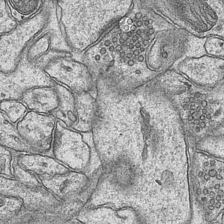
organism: Mouse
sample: CA1 Hippocampus